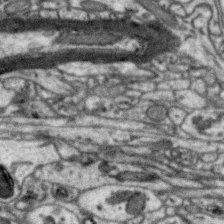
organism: Zebra finch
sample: Brain